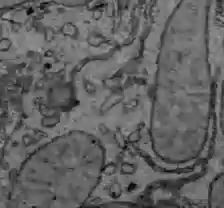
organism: C57BL Mouse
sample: Liver